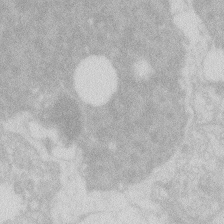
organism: Zebrafish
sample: Macrophage